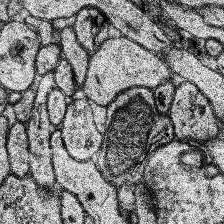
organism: Human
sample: Temporal Lobe